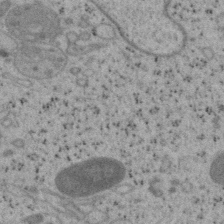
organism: Human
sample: HeLa cells